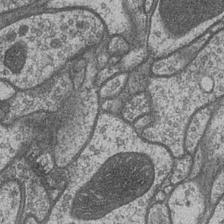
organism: Drosophila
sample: Optic medulla